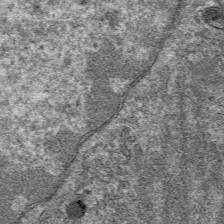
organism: Mouse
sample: Mouse hepatocytes